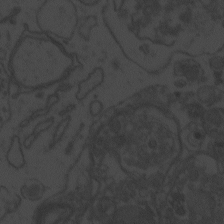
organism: Zebrafish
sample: Macrophage infected with Toxoplasma gondii